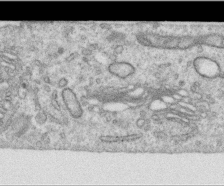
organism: Human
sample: Centriole in RPE cells